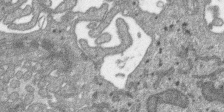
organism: Human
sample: Lung epithelial cells infected with SARS-CoV-2